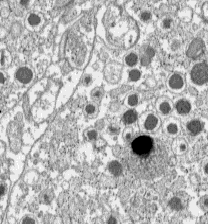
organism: C57BL Mouse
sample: Pancreatic islet